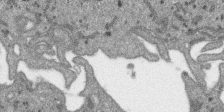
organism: Human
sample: Lung epithelial cells infected with SARS-CoV-2